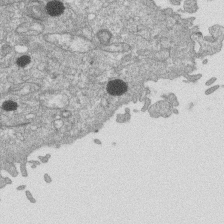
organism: Human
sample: HeLa cell HIV synapse